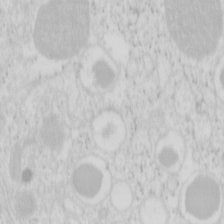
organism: Mouse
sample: Pancreas